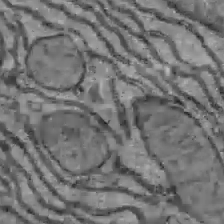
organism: C57BL Mouse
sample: Liver